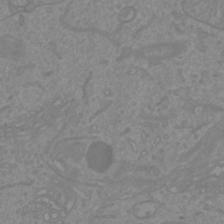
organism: Mouse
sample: Cortical neurons